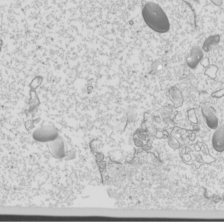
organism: Mouse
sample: Cilia; mouse epididymis